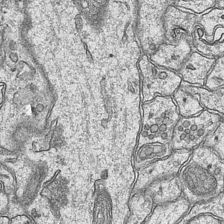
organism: Mouse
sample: CA1 Hippocampus